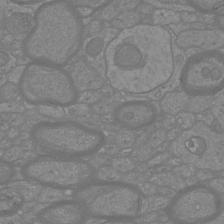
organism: Mouse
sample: Cortical neurons